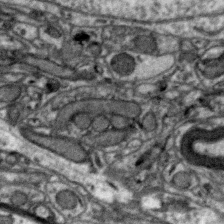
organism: Zebra finch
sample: Brain